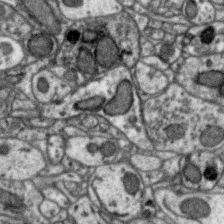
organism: Zebra finch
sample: Brain